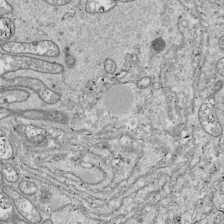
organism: Drosophila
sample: Cell division; meiosis; drosophila spermatocytes